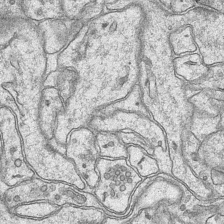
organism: Mouse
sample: CA1 Hippocampus